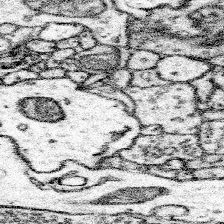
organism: Mouse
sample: Somatosensory cortex neuropil